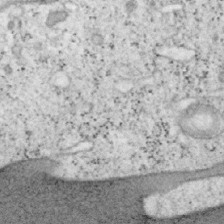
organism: Mouse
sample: OT-I killer T cells with ID8 ovarian cancer cells